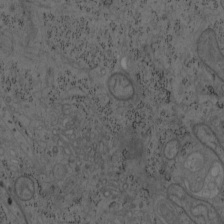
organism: Mouse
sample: OT-I killer T cells with ID8 ovarian cancer cells